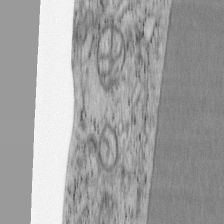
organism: Human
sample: HeLa cells